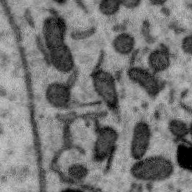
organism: Zebra finch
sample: Brain